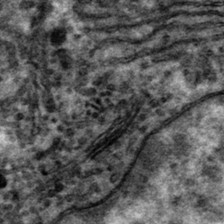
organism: Mouse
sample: Mouse hepatocytes